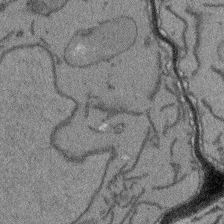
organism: Arabidopsis thaliana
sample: Root tip